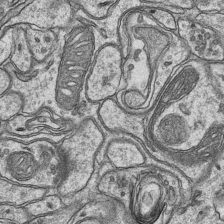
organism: Mouse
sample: CA1 Hippocampus